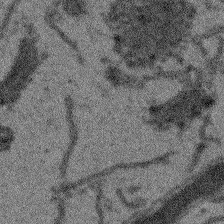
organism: Arabidopsis thaliana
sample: Root tip